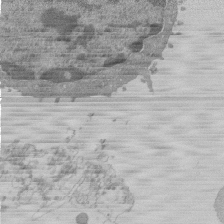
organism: Mouse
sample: Activated Pmel transgenic CD8+ T Cells